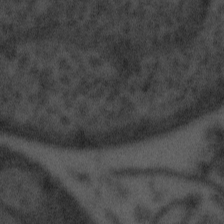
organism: Tuwongella immobilis